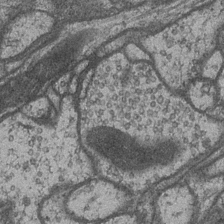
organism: Drosophila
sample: Optic medulla